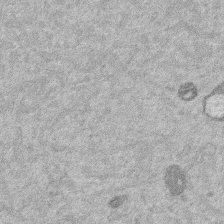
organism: Mouse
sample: Dividing mouse embryo 1 cell stage